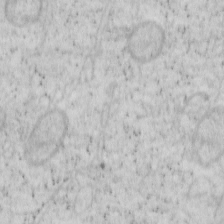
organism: Human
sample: HeLa cells